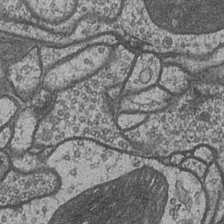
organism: Drosophila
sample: Optic medulla